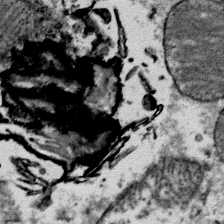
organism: Mouse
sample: Mouse Salivary gland